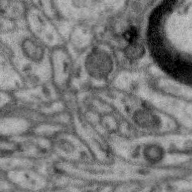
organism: Zebra finch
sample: Brain